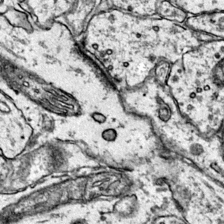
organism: Mouse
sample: Primary visual cortex